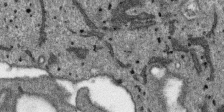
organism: Human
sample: Lung epithelial cells, uninfected (mock) control